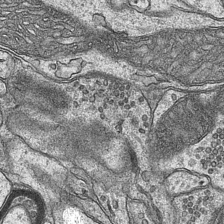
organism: Mouse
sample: CA1 Hippocampus